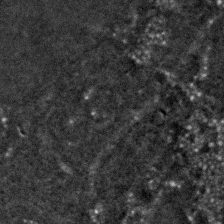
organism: C. elegans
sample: C. elegans embryo